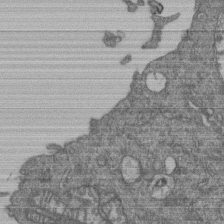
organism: Human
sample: Retinal organoid Rod and Cone cells